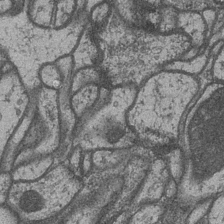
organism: Drosophila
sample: Optic medulla